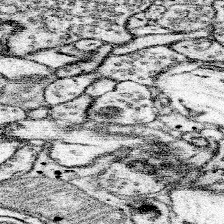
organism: Mouse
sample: Somatosensory cortex neuropil